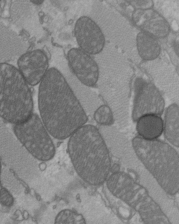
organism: C57BL Mouse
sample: Heart